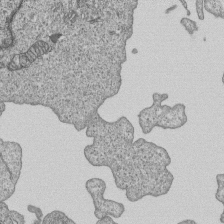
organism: Human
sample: MDA-MB-231 cells